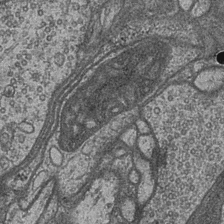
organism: Drosophila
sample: Optic medulla